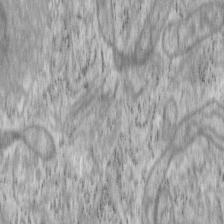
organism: Human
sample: HeLa cells